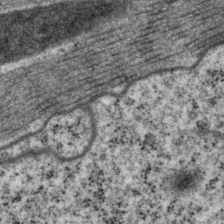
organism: P. pacificus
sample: Pharynx